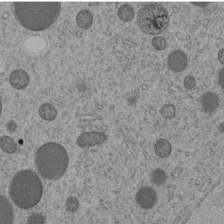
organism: C. elegans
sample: C. elegans embryo early stage